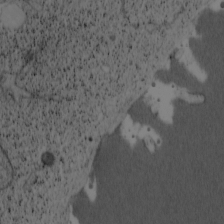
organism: African green monkey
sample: COS-7 cells